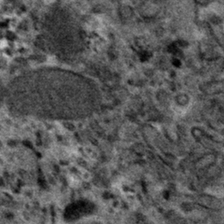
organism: Mouse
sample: Mouse hepatocytes